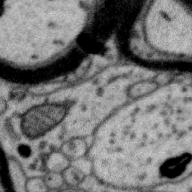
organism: Zebra finch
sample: Brain